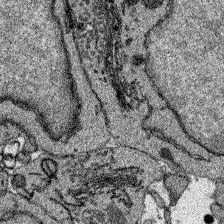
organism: Zebrafish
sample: Larval olfactory bulb